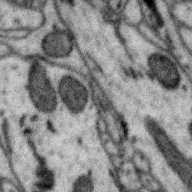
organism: Zebra finch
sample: Brain